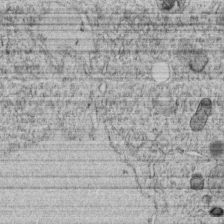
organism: C. elegans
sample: C. elegans embryo early stage